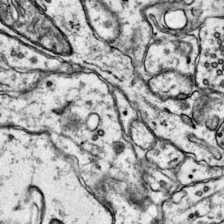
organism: Mouse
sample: Primary visual cortex